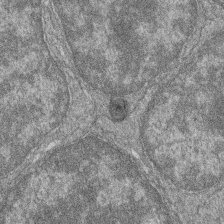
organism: Zebrafish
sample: Cilia; retinal pigment epithelium